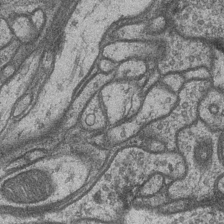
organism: Drosophila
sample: Optic medulla